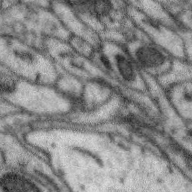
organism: Zebra finch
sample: Brain